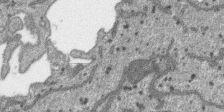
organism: Human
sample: Lung epithelial cells infected with SARS-CoV-2